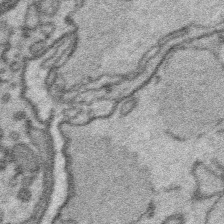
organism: Platynereis dumerilii